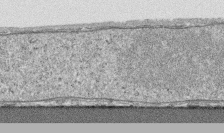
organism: Human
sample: CRL-1474